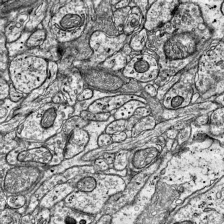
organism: Mouse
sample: Visual Cortex